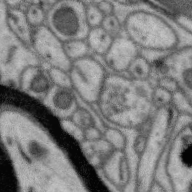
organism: Zebra finch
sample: Brain